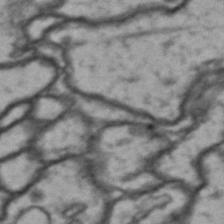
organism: Drosophila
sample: Brain